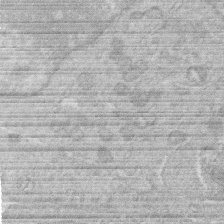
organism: Human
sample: Macrophage cells